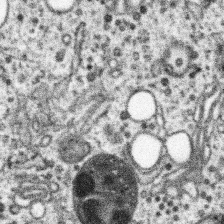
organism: Human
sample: HeLa cells